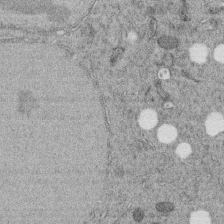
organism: C. elegans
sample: C. elegans embryo early stage